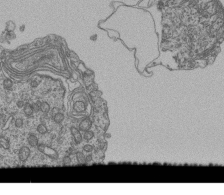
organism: Human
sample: Retinal organoid Rod and Cone cells